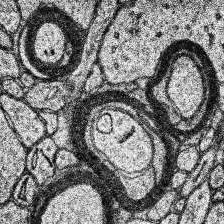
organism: Human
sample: Temporal Lobe